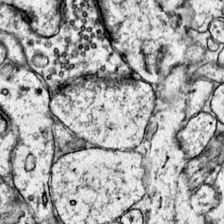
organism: Mouse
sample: Primary visual cortex